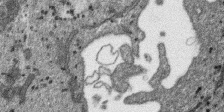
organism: Human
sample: Lung epithelial cells infected with SARS-CoV-2